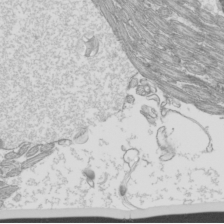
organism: Mouse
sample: Cilia; mouse epididymis